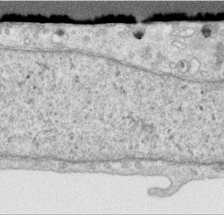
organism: Human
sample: Centriole in RPE cells